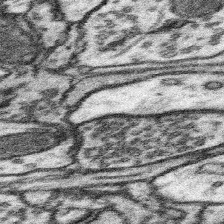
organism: Mouse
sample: Somatosensory cortex neuropil